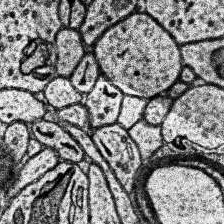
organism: Human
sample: Temporal Lobe